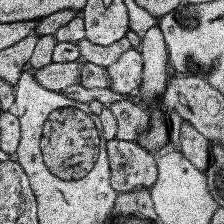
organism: Human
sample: Temporal Lobe